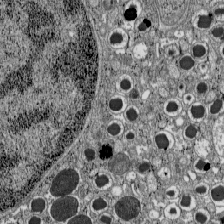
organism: C57BL Mouse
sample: Pancreatic islet